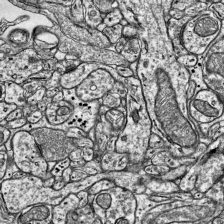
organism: Mouse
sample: Visual Cortex